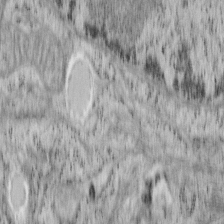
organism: Human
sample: HeLa cells